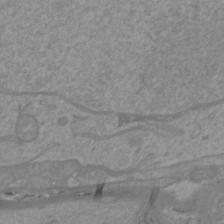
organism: Mouse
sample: Cortical neurons